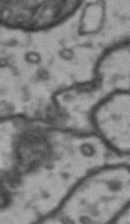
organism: Drosophila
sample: Brain